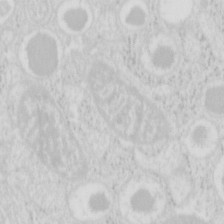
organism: Mouse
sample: Pancreas